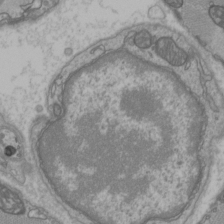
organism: C57BL Mouse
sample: Heart